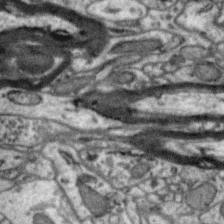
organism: Zebra finch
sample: Brain